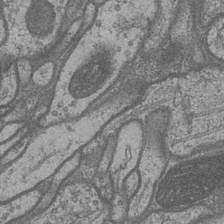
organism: Drosophila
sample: Optic medulla